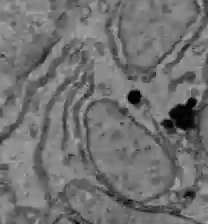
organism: C57BL Mouse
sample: Liver